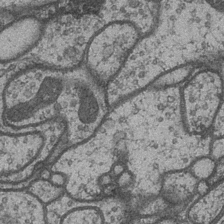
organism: Drosophila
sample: Optic medulla